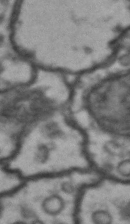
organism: Drosophila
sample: Brain